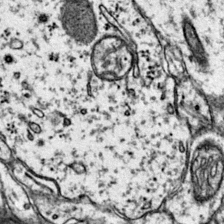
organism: Mouse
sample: Primary visual cortex